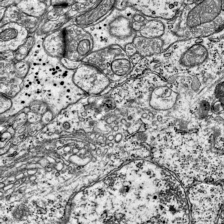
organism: Mouse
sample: Visual Cortex